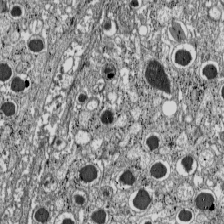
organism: C57BL Mouse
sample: Pancreatic islet